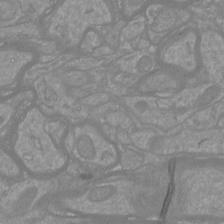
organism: Mouse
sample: Cortical neurons